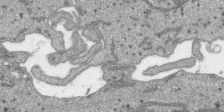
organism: Human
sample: Lung epithelial cells infected with SARS-CoV-2